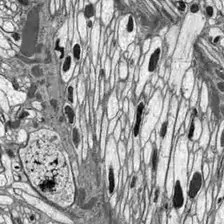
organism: Drosophila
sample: Optic lobe